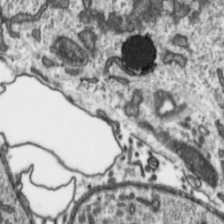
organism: Toxoplasma gondii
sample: Parasites in a vacuole inside a host cell